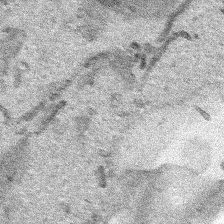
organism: Human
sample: Mitochondria in HCT116 cells